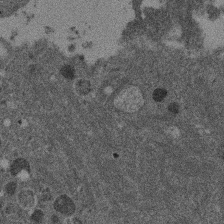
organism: Mouse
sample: Dividing mouse embryo 1 cell stage